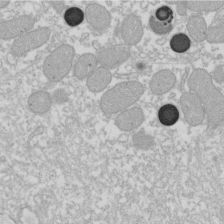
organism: Xenopus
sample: Cilia; centrioles in frog embryo cells